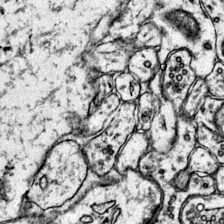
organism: Mouse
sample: Primary visual cortex